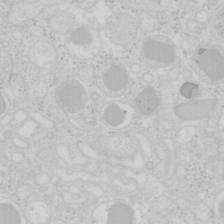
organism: Mouse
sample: Pancreas